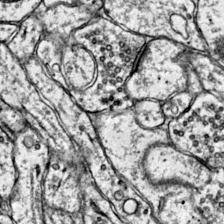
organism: Mouse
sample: Primary visual cortex